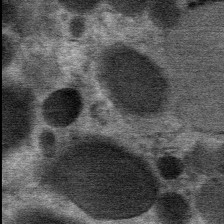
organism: Mouse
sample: Mouse Salivary gland